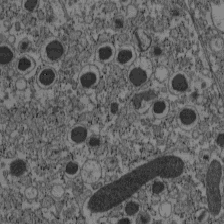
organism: C57BL Mouse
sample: Pancreatic islet